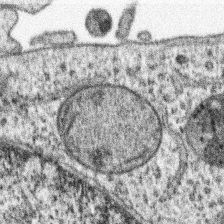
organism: Human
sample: HeLa cells